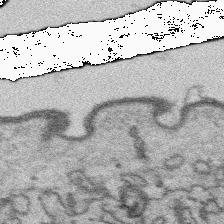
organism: Platynereis dumerilii